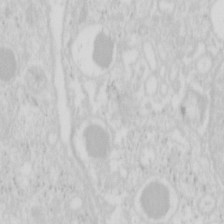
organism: Mouse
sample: Pancreas